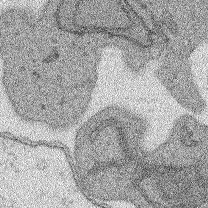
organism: Human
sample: HeLa cells